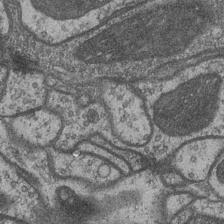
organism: Drosophila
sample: Optic medulla